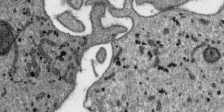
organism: Human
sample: Lung epithelial cells, uninfected (mock) control